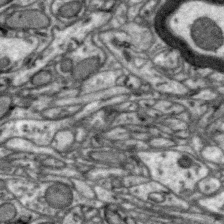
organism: Zebra finch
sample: Brain